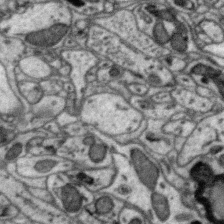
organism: Zebra finch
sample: Brain